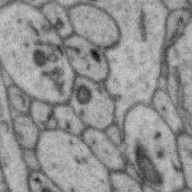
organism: Zebra finch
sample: Brain